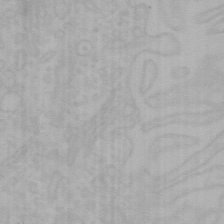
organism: Mouse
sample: Choroid plexus